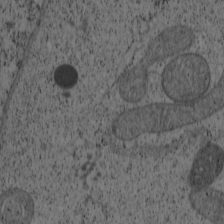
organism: African green monkey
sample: COS-7 cells